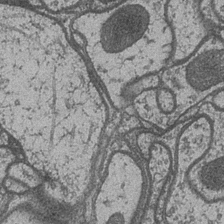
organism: Drosophila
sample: Optic medulla